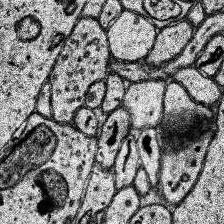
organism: Human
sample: Temporal Lobe